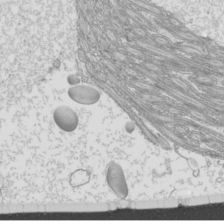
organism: Mouse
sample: Cilia; mouse epididymis